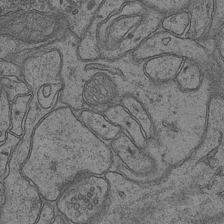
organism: Mouse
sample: CA1 Hippocampus